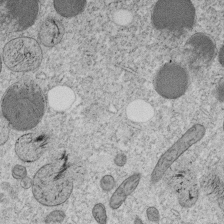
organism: C. elegans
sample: C. elegans embryo early stage